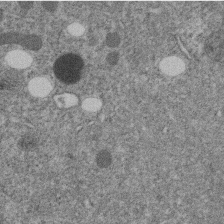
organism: C. elegans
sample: C. elegans embryo early stage